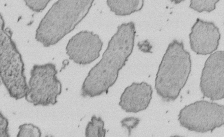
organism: E. coli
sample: Bacterial nucleoid